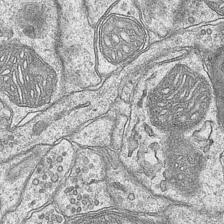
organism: Mouse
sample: CA1 Hippocampus